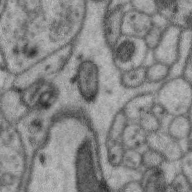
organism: Zebra finch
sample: Brain